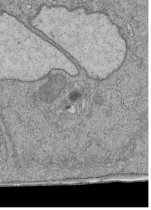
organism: Human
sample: Retinal organoid Rod and Cone cells